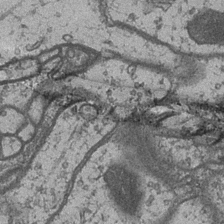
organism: Drosophila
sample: Optic medulla